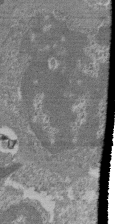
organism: Mouse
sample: Glomerulus